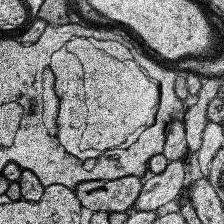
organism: Human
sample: Temporal Lobe